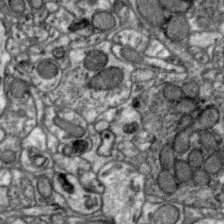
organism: Zebra finch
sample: Brain